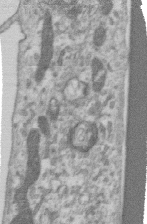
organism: Human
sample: Centriole in RPE cells